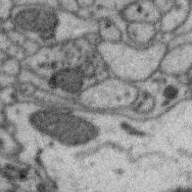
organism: Zebra finch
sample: Brain